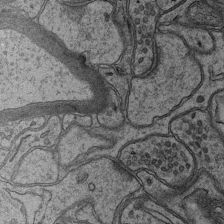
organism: Mouse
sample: CA1 Hippocampus